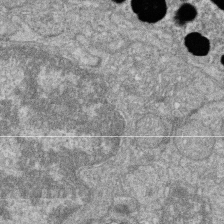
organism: Zebrafish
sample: Cilia; retinal pigment epithelium